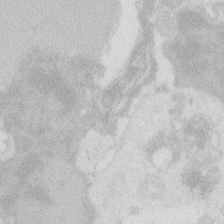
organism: Zebrafish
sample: Macrophage